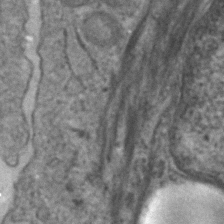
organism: Human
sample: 1205lu cells